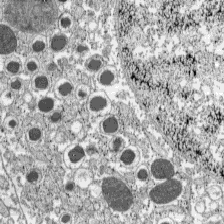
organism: C57BL Mouse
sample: Pancreatic islet